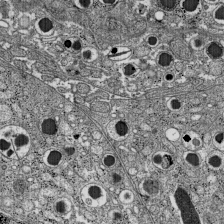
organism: C57BL Mouse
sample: Pancreatic islet